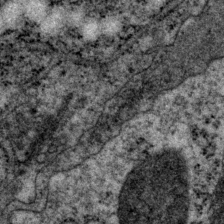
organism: P. pacificus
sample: Pharynx